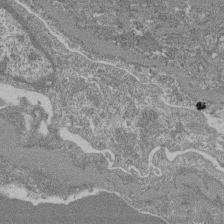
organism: Mouse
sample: Glomerulus